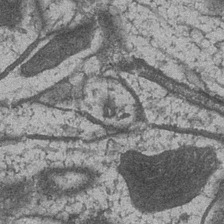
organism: Drosophila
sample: Optic medulla